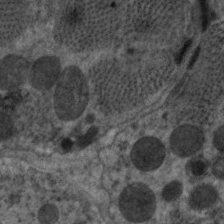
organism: C. elegans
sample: Pharynx